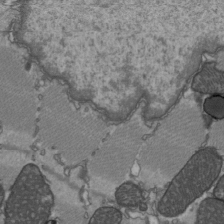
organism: C57BL Mouse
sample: Heart